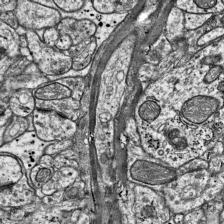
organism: Mouse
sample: Visual Cortex